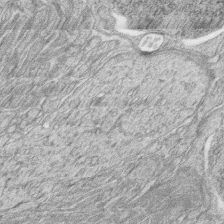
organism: Zebrafish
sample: synaptic ribbons in rod cells and cone cells